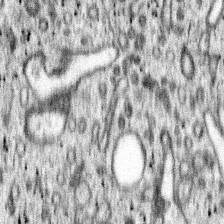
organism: Human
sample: HeLa cells